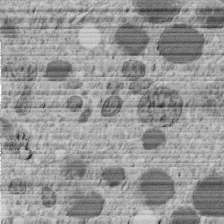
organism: C. elegans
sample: C. elegans embryo early stage